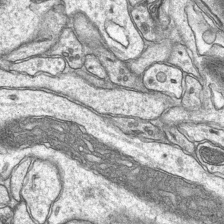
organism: Mouse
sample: CA1 Hippocampus